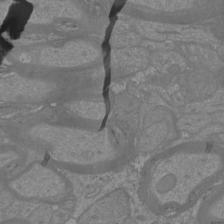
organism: Mouse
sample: Cortical neurons